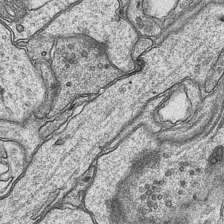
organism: Mouse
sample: CA1 Hippocampus